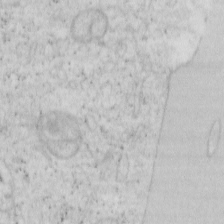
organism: Human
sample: HeLa cells